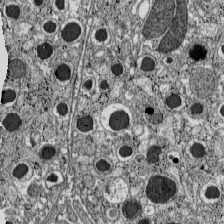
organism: C57BL Mouse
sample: Pancreatic islet